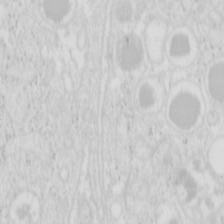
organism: Mouse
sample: Pancreas